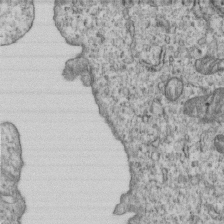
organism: Human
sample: MDA-MB-231 cells